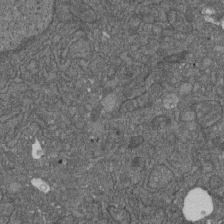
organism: Drosophila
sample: Nephrocyte